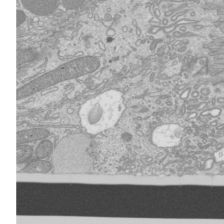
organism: Mouse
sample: Cilia; mouse epididymis